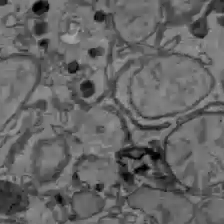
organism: C57BL Mouse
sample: Liver